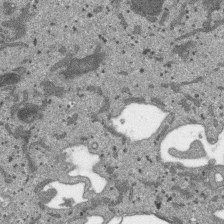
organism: Human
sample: Lung epithelial cells infected with SARS-CoV-2